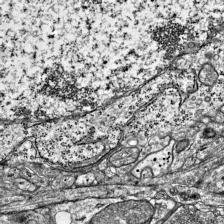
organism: Mouse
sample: Visual Cortex